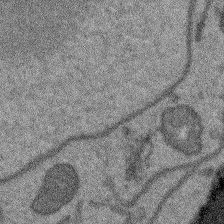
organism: Arabidopsis thaliana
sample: Root tip